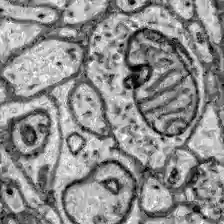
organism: Zebrafish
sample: Brain